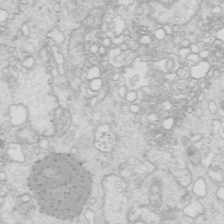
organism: Mouse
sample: Multiciliated cells